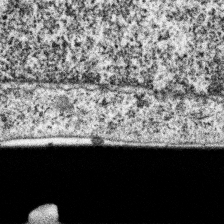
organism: Human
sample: HeLa cells